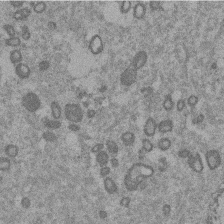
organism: Mouse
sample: Dividing mouse embryo 1 cell stage